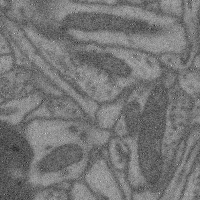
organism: Mouse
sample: Cerebral cortex